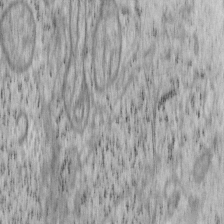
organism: Human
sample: HeLa cells